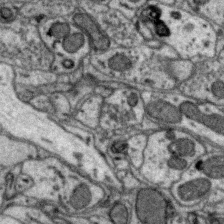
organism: Zebra finch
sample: Brain